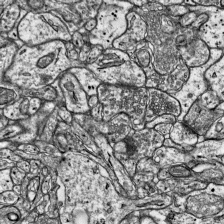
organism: Mouse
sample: Visual Cortex